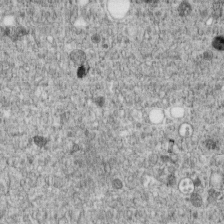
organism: C. elegans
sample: C. elegans embryo early stage